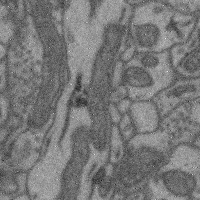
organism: Mouse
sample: Cerebral cortex